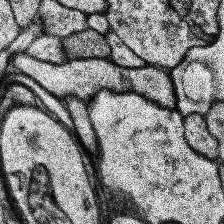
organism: Human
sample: Temporal Lobe